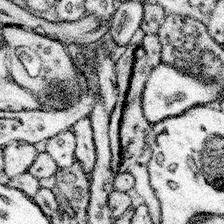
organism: Mouse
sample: Somatosensory cortex neuropil